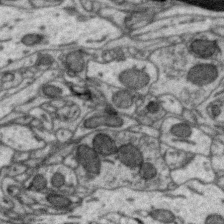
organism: Zebra finch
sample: Brain